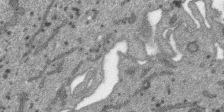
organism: Human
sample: Lung epithelial cells infected with SARS-CoV-2